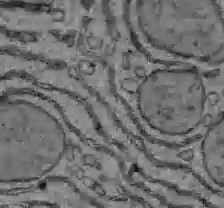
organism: C57BL Mouse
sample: Liver